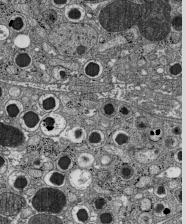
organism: C57BL Mouse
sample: Pancreatic islet